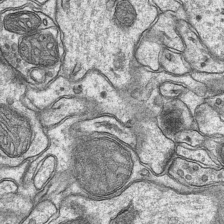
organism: Mouse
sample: CA1 Hippocampus